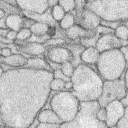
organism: Rabbit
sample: Retina